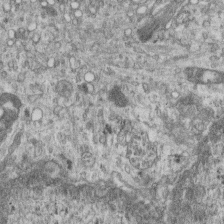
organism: Mouse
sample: Centriole in ependymal cells